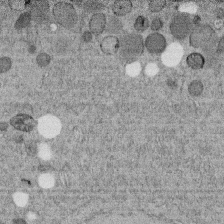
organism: C. elegans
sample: C. elegans embryo early stage